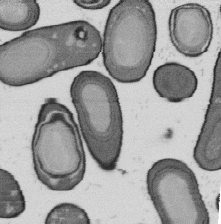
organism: B. subtilis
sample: Bacterial spore